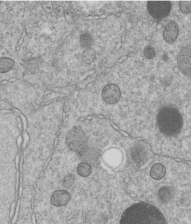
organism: C. elegans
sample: C. elegans embryo early stage